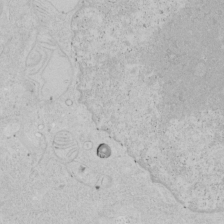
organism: Human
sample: Mitochondria in HCT116 cells